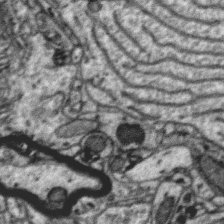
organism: Zebra finch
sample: Brain